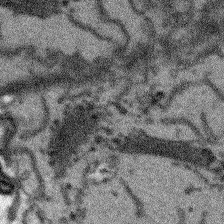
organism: Arabidopsis thaliana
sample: Root tip